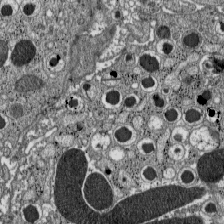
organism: C57BL Mouse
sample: Pancreatic islet